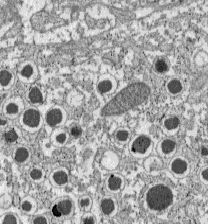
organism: C57BL Mouse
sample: Pancreatic islet